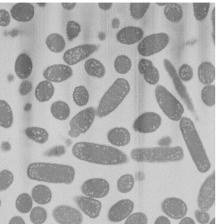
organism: E. coli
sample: Bacterial nucleoid